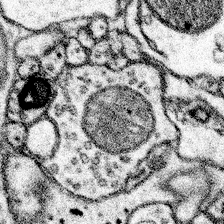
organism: Mouse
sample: Somatosensory cortex neuropil